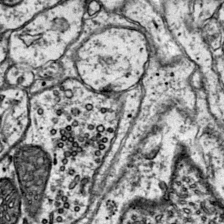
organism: Mouse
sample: Primary visual cortex